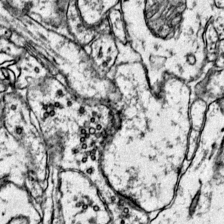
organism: Mouse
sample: Primary visual cortex